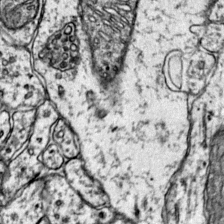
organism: Mouse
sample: Primary visual cortex